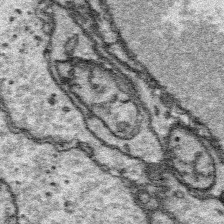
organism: Platynereis dumerilii